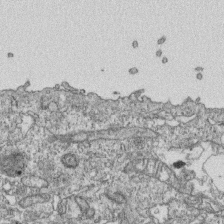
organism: Human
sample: HeLa cell HIV synapse